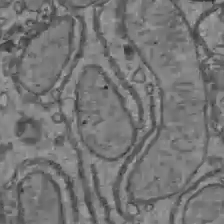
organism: C57BL Mouse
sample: Liver